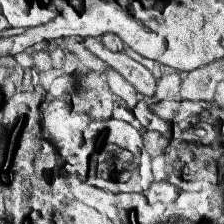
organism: Human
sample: Temporal Lobe